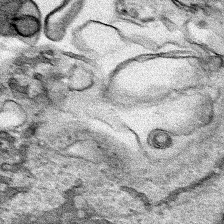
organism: Human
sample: Mitochondria in HCT116 cells